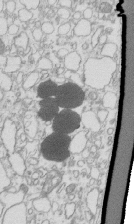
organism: Mouse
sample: Macrophages